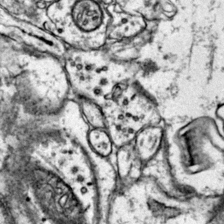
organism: Mouse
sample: Primary visual cortex